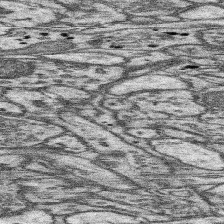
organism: Mouse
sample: Somatosensory cortex neuropil